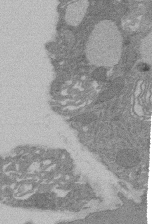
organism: Rat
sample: Salivary granule